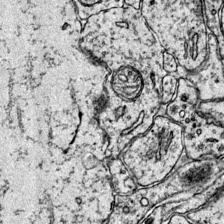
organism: Mouse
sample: Primary visual cortex